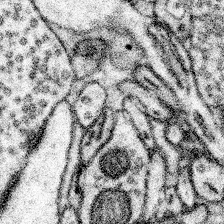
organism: Mouse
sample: Somatosensory cortex neuropil